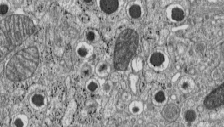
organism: C57BL Mouse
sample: Pancreatic islet